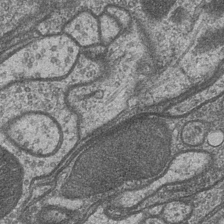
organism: Drosophila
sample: Optic medulla